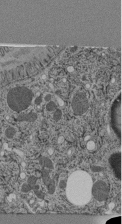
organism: C. elegans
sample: C. elegans pharynx